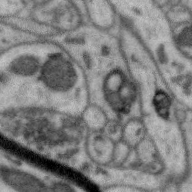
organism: Zebra finch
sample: Brain